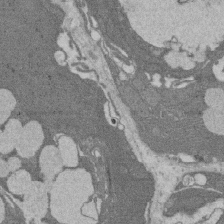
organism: Rat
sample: Salivary granule